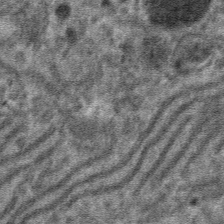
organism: Mouse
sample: Mouse hepatocytes